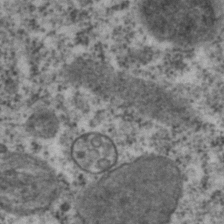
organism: C. elegans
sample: C. elegans embryo